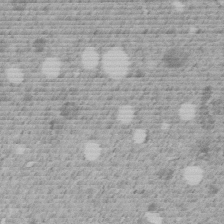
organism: C. elegans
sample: C. elegans embryo early stage